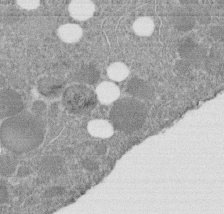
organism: C. elegans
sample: C. elegans embryo early stage